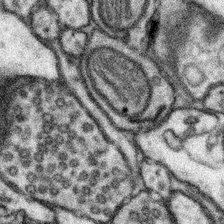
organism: Mouse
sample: Somatosensory cortex neuropil